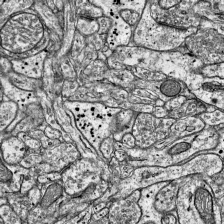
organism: Mouse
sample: Visual Cortex